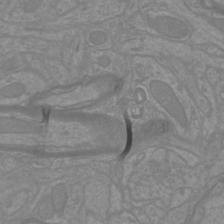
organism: Mouse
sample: Cortical neurons